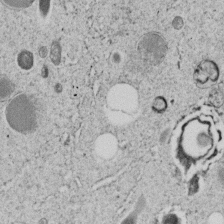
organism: C. elegans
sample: C. elegans embryo early stage